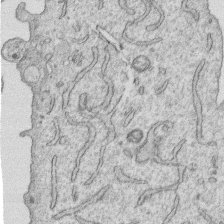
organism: Human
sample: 1205lu cells